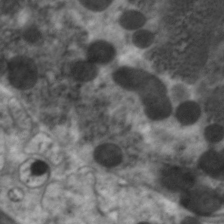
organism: C. elegans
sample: Pharynx